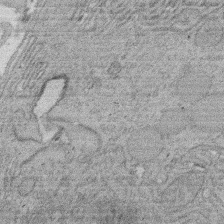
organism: Rat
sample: Salivary granule